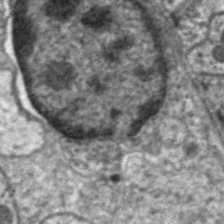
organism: C. elegans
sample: Pharynx